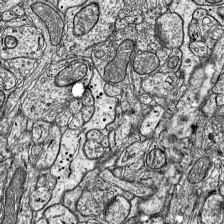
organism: Mouse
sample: Visual Cortex